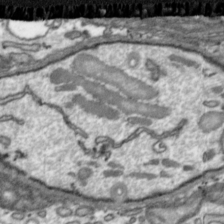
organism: Toxoplasma gondii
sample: Parasites in a vacuole inside a host cell